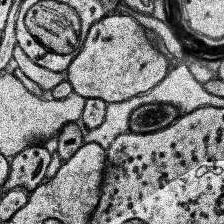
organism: Human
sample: Temporal Lobe